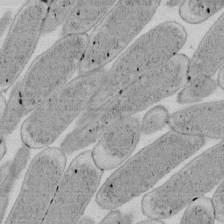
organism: E. coli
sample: Bacterial nucleoid